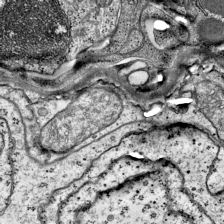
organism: Mouse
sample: Visual Cortex